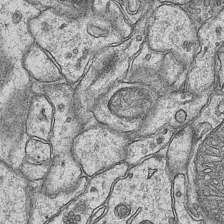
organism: Mouse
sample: CA1 Hippocampus